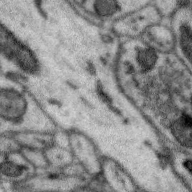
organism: Zebra finch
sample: Brain